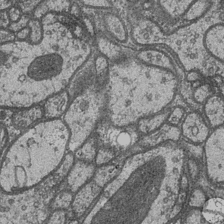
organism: Drosophila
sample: Optic medulla